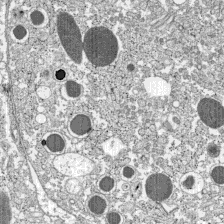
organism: C57BL Mouse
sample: Pancreatic islet